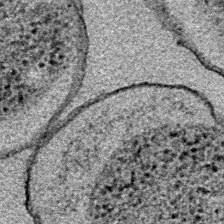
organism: E. coli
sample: E. Coli Bacteria